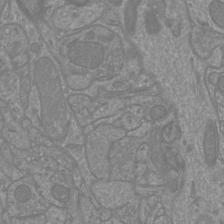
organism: Mouse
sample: Cortical neurons